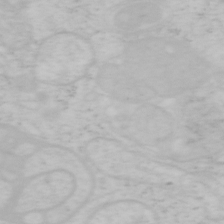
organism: Mouse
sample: OT-I killer T cells with ID8 ovarian cancer cells